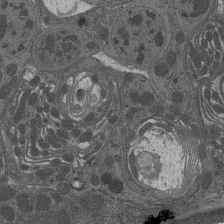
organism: Drosophila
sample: Antenna